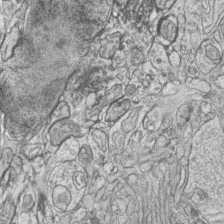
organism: Zebrafish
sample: synaptic ribbons in rod cells and cone cells